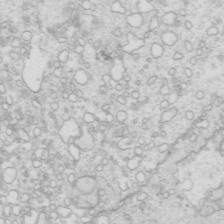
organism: Mouse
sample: Multiciliated cells